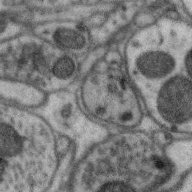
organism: Zebra finch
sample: Brain